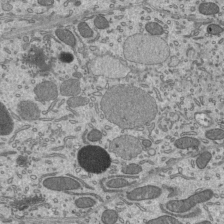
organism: Mouse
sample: Mouse epididymis efferent ductule cilia